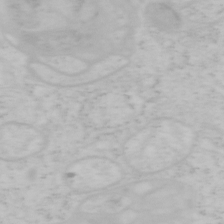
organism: Mouse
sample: OT-I killer T cells with ID8 ovarian cancer cells